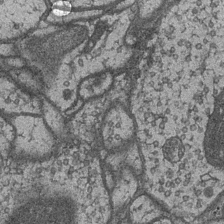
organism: Drosophila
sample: Optic medulla